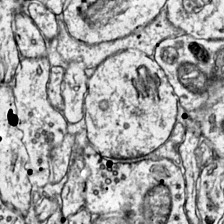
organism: Mouse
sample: Primary visual cortex